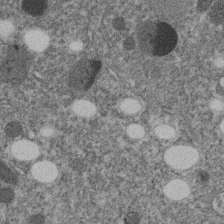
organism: C. elegans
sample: C. elegans embryo early stage